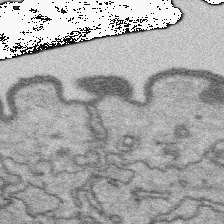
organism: Platynereis dumerilii